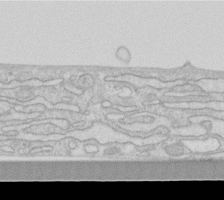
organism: Human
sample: Fibroblast cells